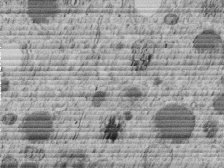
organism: C. elegans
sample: C. elegans embryo early stage